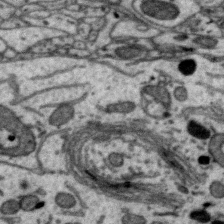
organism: Zebra finch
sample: Brain